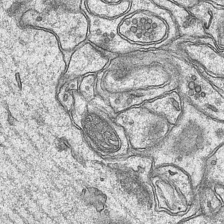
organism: Mouse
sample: CA1 Hippocampus